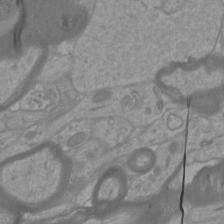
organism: Mouse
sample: Cortical neurons